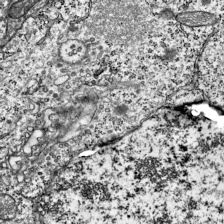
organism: Mouse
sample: Visual Cortex